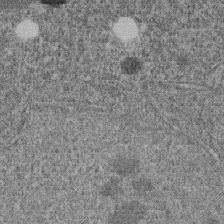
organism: C. elegans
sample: C. elegans embryo early stage